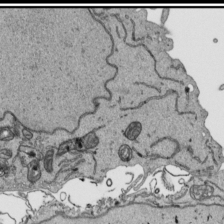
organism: Human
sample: Mitochondria in HCT116 cells